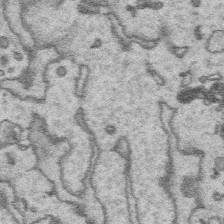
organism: Platynereis dumerilii